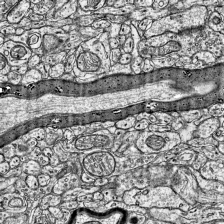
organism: Mouse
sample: Visual Cortex